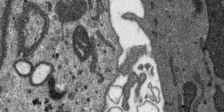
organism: Human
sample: Lung epithelial cells infected with SARS-CoV-2